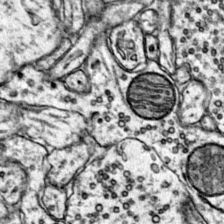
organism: Mouse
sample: Primary visual cortex